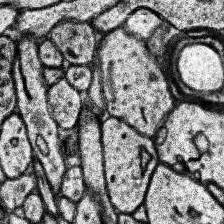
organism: Human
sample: Temporal Lobe